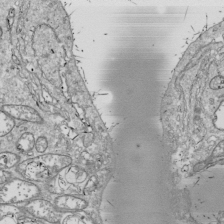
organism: Drosophila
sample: Cell division; meiosis; drosophila spermatocytes